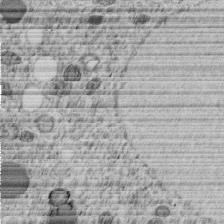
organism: C. elegans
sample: C. elegans embryo early stage